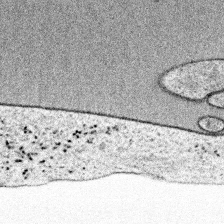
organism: Human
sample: HeLa cells